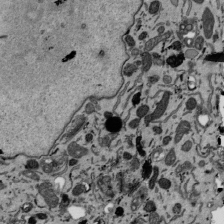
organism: Mouse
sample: ED-1 cell nuclei; centrioles